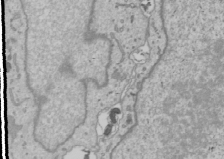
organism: Human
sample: Mitochondria in U2OS cells